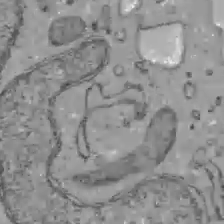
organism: C57BL Mouse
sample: Liver